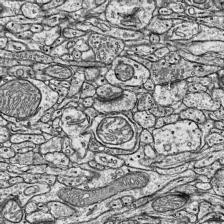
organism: Mouse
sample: Visual Cortex